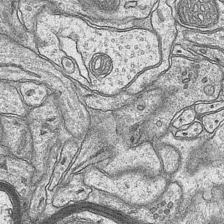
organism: Mouse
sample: CA1 Hippocampus